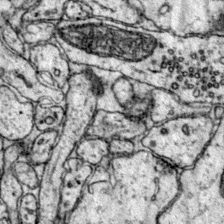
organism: Mouse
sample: Primary visual cortex